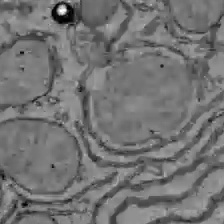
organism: C57BL Mouse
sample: Liver